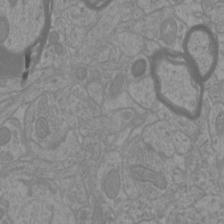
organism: Mouse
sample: Cortical neurons